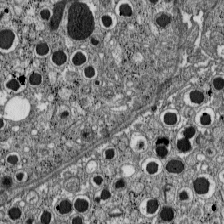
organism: C57BL Mouse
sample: Pancreatic islet